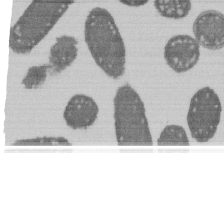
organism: E. coli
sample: Bacterial nucleoid